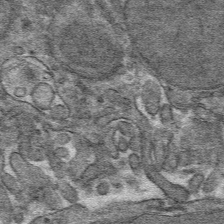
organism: Mouse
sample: Mouse hepatocytes